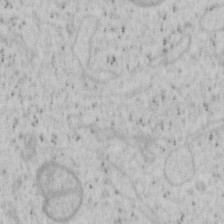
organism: Human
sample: HeLa cells